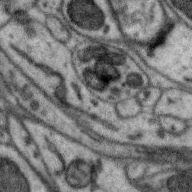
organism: Zebra finch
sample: Brain